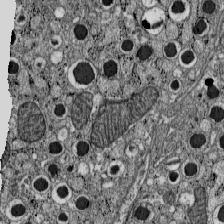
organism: C57BL Mouse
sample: Pancreatic islet